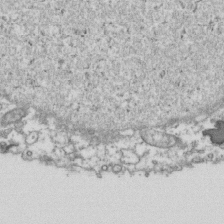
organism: Human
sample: Activated Jurkat CD4+ T cells